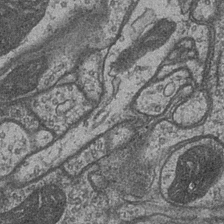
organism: Drosophila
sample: Optic medulla